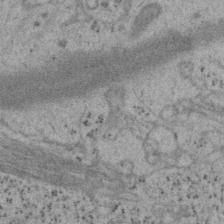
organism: Human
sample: HeLa cells